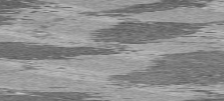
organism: C57BL Mouse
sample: Heart